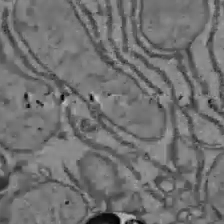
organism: C57BL Mouse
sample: Liver